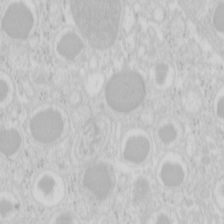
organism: Mouse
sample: Pancreas